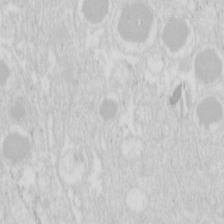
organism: Mouse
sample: Pancreas